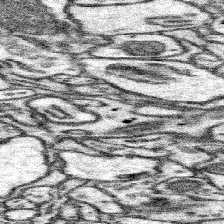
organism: Mouse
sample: Somatosensory cortex neuropil